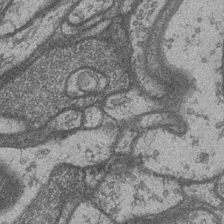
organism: Drosophila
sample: Optic medulla